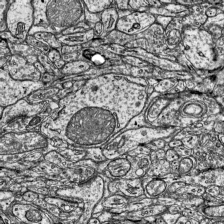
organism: Mouse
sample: Visual Cortex